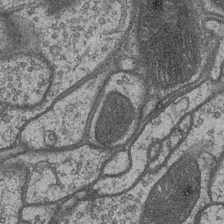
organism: Drosophila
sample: Optic medulla